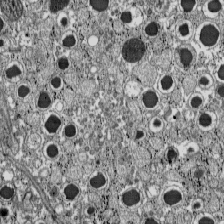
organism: C57BL Mouse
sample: Pancreatic islet